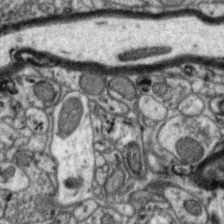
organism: Zebra finch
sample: Brain